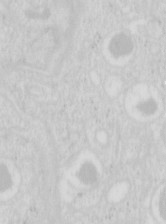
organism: Mouse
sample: Pancreas